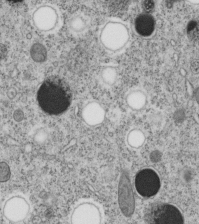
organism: C. elegans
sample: C. elegans embryo early stage